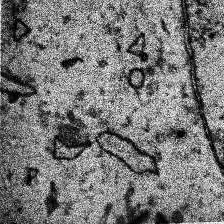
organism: Human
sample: Temporal Lobe